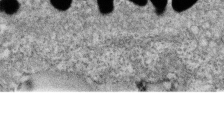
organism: Zebrafish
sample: Cilia; retinal pigment epithelium